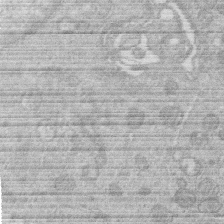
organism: Human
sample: Macrophage cells